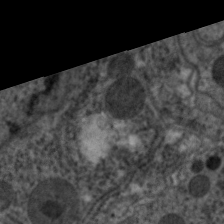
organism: C. elegans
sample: Pharynx